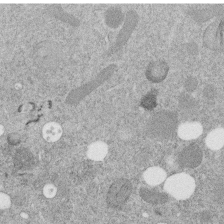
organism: C. elegans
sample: C. elegans embryo early stage